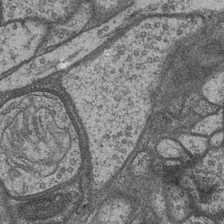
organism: Drosophila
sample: Optic medulla